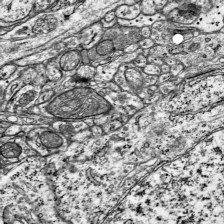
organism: Mouse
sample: Visual Cortex